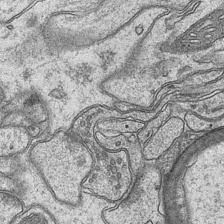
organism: Mouse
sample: CA1 Hippocampus